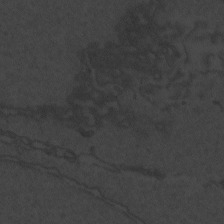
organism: Zebrafish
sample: Macrophage infected with Toxoplasma gondii